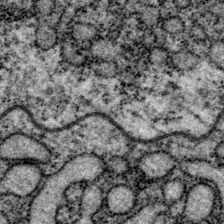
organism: P. pacificus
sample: Pharynx